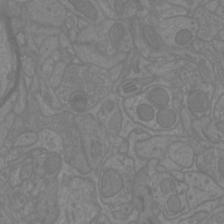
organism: Mouse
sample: Cortical neurons